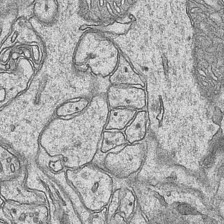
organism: Mouse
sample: CA1 Hippocampus